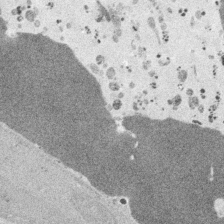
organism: Embia sp.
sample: Silk gland